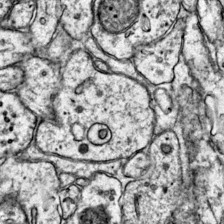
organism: Mouse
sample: Primary visual cortex